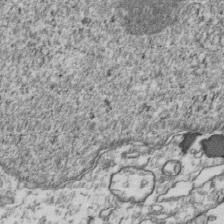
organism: Human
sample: Activated Jurkat CD4+ T cells